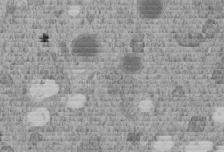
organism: C. elegans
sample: C. elegans embryo early stage